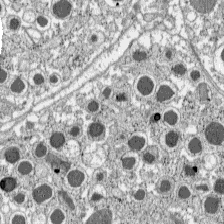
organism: C57BL Mouse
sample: Pancreatic islet